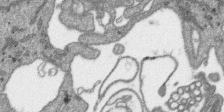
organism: Human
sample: Lung epithelial cells infected with SARS-CoV-2